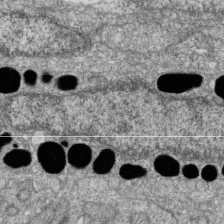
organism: Zebrafish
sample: Cilia; retinal pigment epithelium